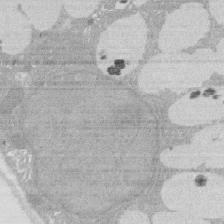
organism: Rat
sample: Salivary granule